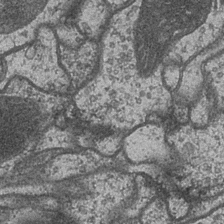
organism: Drosophila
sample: Optic medulla